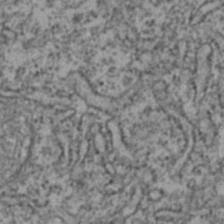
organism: Zebrafish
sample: Zebrafish embryo